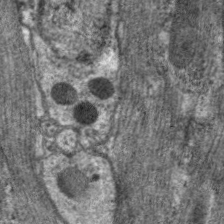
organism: C. elegans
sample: Pharynx